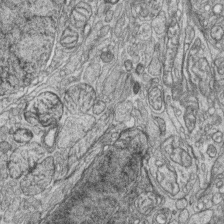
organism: Zebrafish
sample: synaptic ribbons in rod cells and cone cells